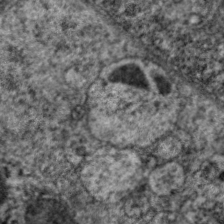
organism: C. elegans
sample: Pharynx